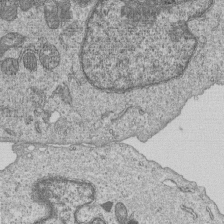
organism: Human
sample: MDA-MB-231 cells